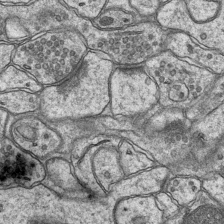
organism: Mouse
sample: CA1 Hippocampus